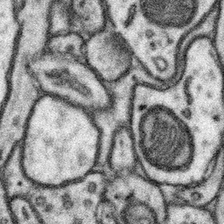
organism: Mouse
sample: Somatosensory cortex neuropil